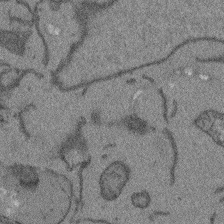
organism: Arabidopsis thaliana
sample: Root tip